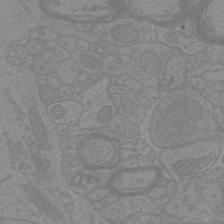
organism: Mouse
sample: Cortical neurons